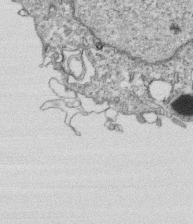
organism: Human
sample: HeLa cell HIV synapse